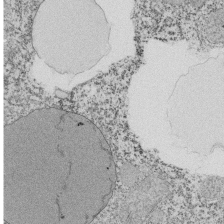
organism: Tetrahymena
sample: Cilia in tetrahymena